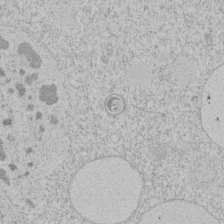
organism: Tetrahymena